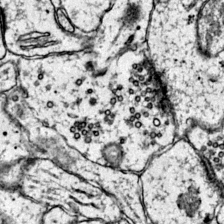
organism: Mouse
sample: Primary visual cortex